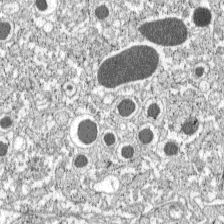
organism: C57BL Mouse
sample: Pancreatic islet